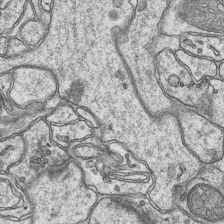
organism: Mouse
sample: CA1 Hippocampus